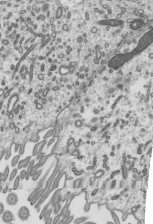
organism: Mouse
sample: Mouse epididymis efferent ductule cilia